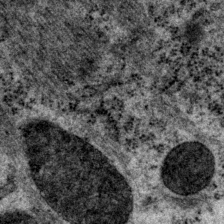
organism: P. pacificus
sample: Pharynx